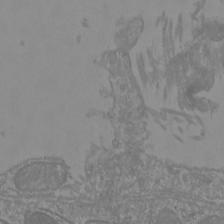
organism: Mouse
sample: Cortical neurons